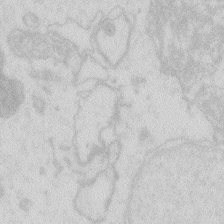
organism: Zebrafish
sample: Macrophage